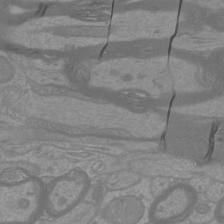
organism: Mouse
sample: Cortical neurons